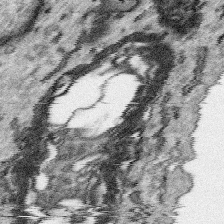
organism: Human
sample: HeLa cells